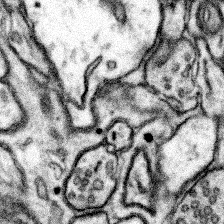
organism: Mouse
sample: Somatosensory cortex neuropil